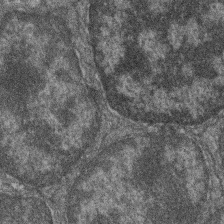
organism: Zebrafish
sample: Cilia; retinal pigment epithelium